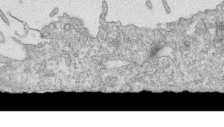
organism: Human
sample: HeLa cell HIV synapse